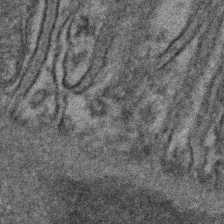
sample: Kidney